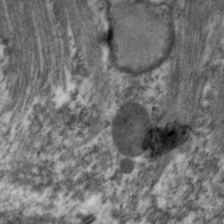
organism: C. elegans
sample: Pharynx